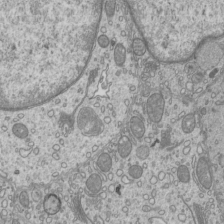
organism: Mouse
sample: Cilia; mouse epididymis